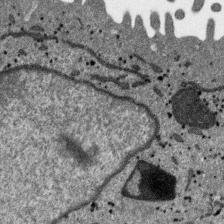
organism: Human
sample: Lung epithelial cells, uninfected (mock) control